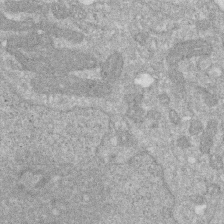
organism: Human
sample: HIV infected U937 cells